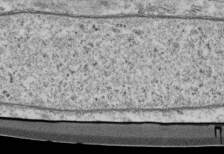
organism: Mouse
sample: Cilia; retinal pigment epithelium